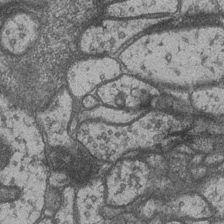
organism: Drosophila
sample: Optic medulla